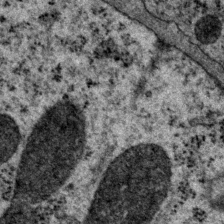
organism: P. pacificus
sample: Pharynx